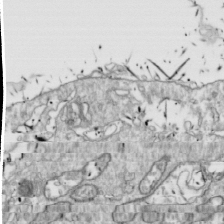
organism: Drosophila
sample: Cell division; meiosis; drosophila spermatocytes